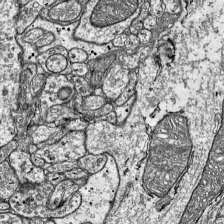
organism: Mouse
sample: Visual Cortex